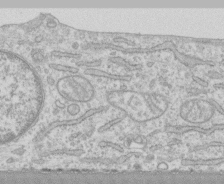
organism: Human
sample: CRL-1474